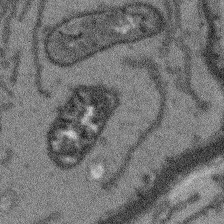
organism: Arabidopsis thaliana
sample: Root tip